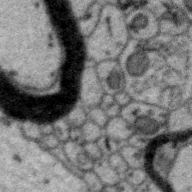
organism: Zebra finch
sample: Brain